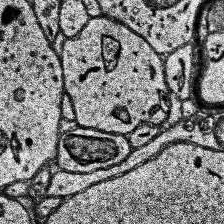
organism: Human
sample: Temporal Lobe